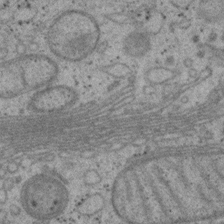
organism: Human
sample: HeLa cells